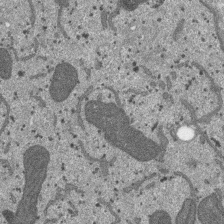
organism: Human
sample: Lung epithelial cells infected with SARS-CoV-2